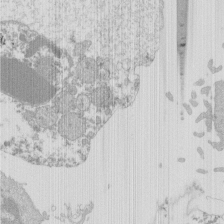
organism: Mouse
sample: Activated Pmel transgenic CD8+ T Cells